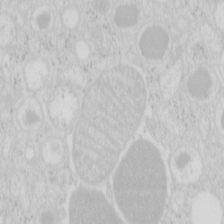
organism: Mouse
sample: Pancreas